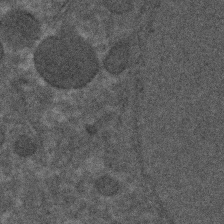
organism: C. elegans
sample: C. elegans embryo